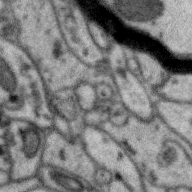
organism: Zebra finch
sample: Brain